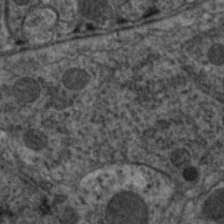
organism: C. elegans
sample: Pharynx